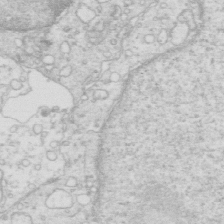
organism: Mouse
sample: Multiciliated cells